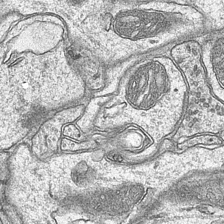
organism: Mouse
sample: CA1 Hippocampus